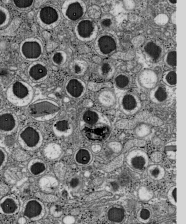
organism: C57BL Mouse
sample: Pancreatic islet